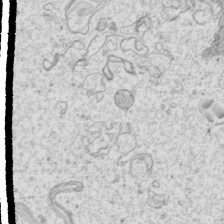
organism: Mouse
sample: Cilia; mouse epididymis